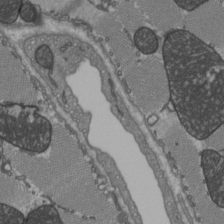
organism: C57BL Mouse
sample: Heart